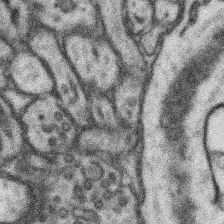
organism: Mouse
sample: Somatosensory cortex neuropil